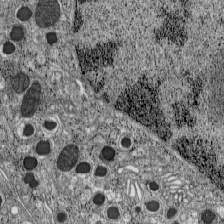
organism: C57BL Mouse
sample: Pancreatic islet